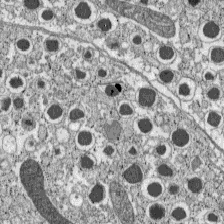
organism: C57BL Mouse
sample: Pancreatic islet